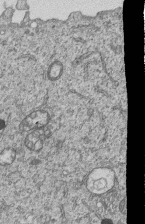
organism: Human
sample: MDA-MB-231 cells